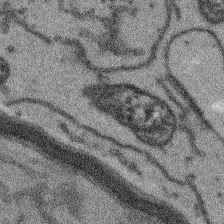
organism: Arabidopsis thaliana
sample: Root tip